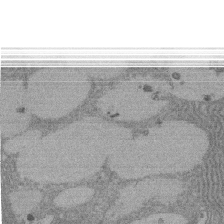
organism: Rat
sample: Salivary granule